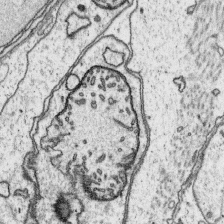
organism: Platynereis dumerilii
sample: Parapodia